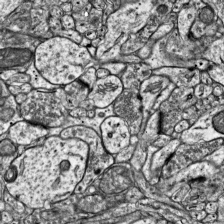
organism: Mouse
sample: Visual Cortex